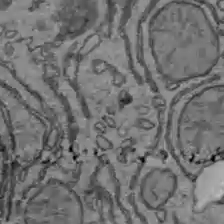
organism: C57BL Mouse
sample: Liver